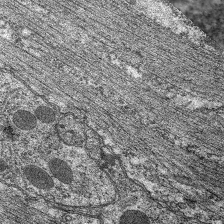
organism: C. elegans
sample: Pharynx